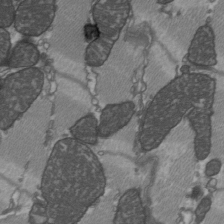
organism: C57BL Mouse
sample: Heart